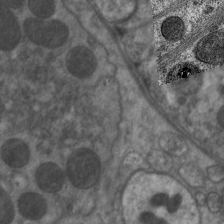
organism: C. elegans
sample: Pharynx